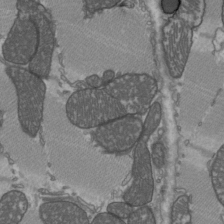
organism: C57BL Mouse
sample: Heart